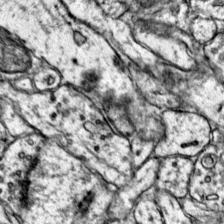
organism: Mouse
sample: Primary visual cortex